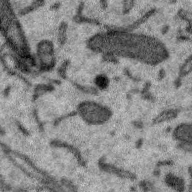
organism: Zebra finch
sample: Brain